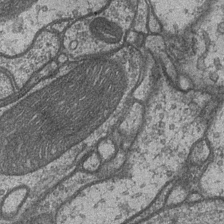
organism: Drosophila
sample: Optic medulla